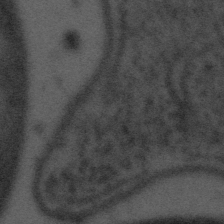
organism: Tuwongella immobilis